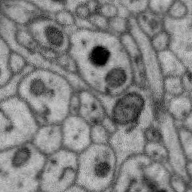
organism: Zebra finch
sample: Brain